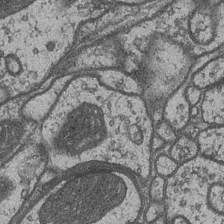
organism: Drosophila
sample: Optic medulla